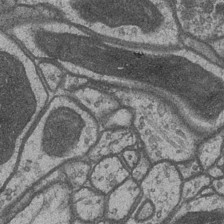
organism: Drosophila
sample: Optic medulla